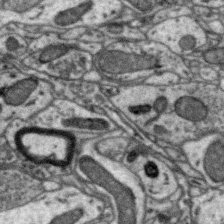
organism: Zebra finch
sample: Brain